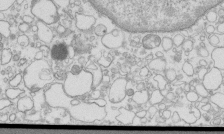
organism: Mouse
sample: Macrophages